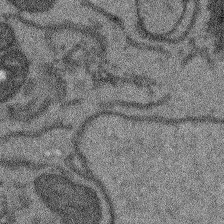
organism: Arabidopsis thaliana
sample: Root tip